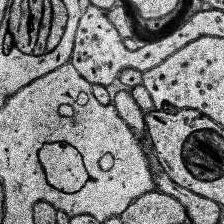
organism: Human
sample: Temporal Lobe